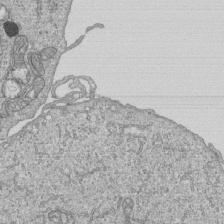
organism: Human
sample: MDA-MB-231 cells